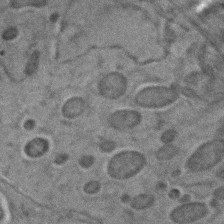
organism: C. elegans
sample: C. elegans embryo